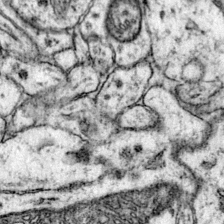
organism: Mouse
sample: Primary visual cortex